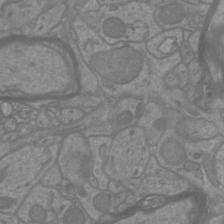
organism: Mouse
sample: Cortical neurons